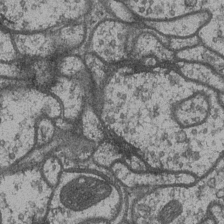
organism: Drosophila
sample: Optic medulla